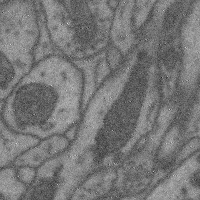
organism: Mouse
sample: Cerebral cortex